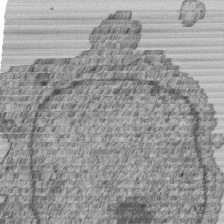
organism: Human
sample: MDA-MB-231 cells